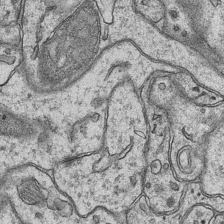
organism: Mouse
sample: CA1 Hippocampus